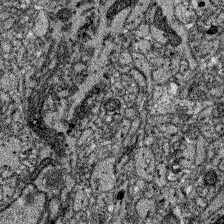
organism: Zebrafish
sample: Larval olfactory bulb